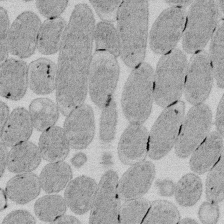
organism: E. coli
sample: Bacterial nucleoid